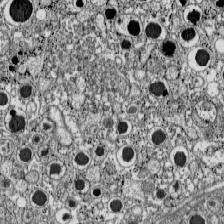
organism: C57BL Mouse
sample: Pancreatic islet